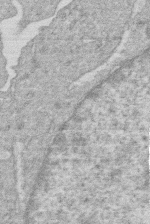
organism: Human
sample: Macrophage cells